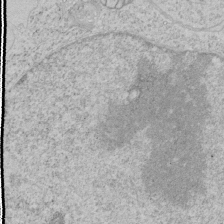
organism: Human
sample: Mitochondria in HCT116 cells